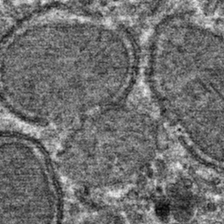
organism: Mouse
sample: Mouse hepatocytes